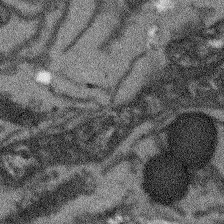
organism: Arabidopsis thaliana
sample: Root tip